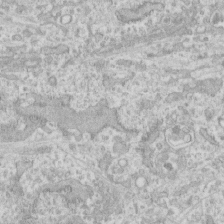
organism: Human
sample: CRL-1474